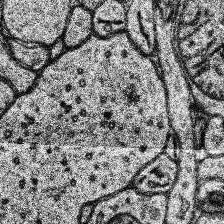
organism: Human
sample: Temporal Lobe